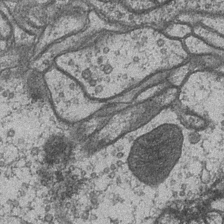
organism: Drosophila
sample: Optic medulla